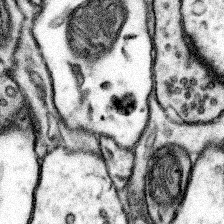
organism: Mouse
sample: Somatosensory cortex neuropil